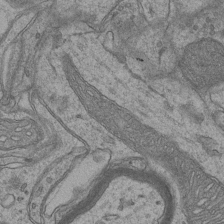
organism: Mouse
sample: CA1 Hippocampus